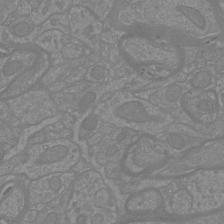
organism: Mouse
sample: Cortical neurons